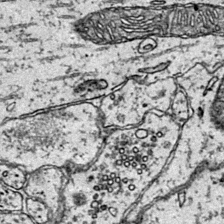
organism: Mouse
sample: Primary visual cortex